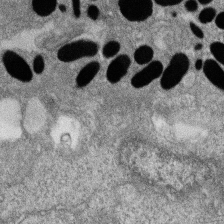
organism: Zebrafish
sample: Cilia; retinal pigment epithelium